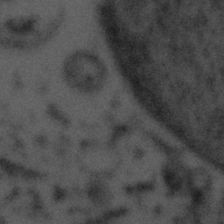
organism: Tuwongella immobilis